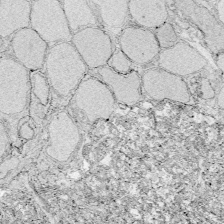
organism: Zebrafish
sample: Whole-Brain